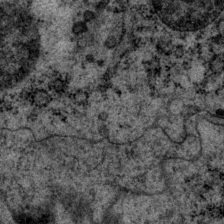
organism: P. pacificus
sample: Pharynx